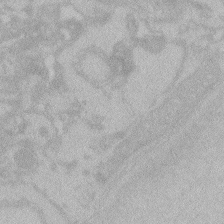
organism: Zebrafish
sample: Macrophage infected with Toxoplasma gondii